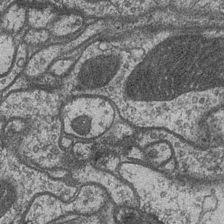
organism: Drosophila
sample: Optic medulla